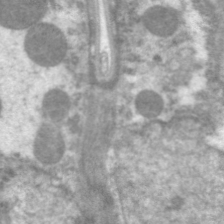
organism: C. elegans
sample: Pharynx